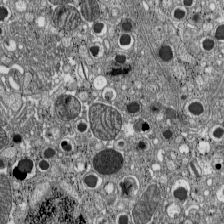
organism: C57BL Mouse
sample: Pancreatic islet